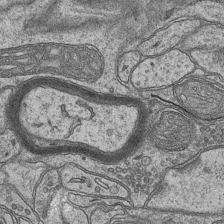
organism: Mouse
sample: CA1 Hippocampus